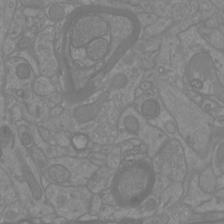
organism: Mouse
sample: Cortical neurons